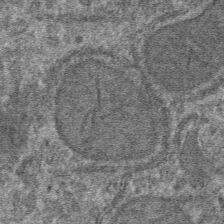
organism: Mouse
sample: Mouse hepatocytes